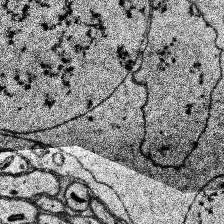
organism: Human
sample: Temporal Lobe